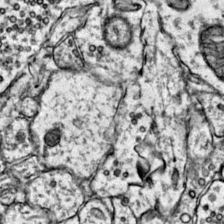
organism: Mouse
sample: Primary visual cortex